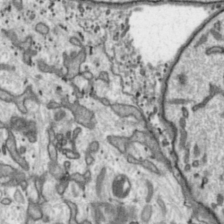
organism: Toxoplasma gondii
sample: Parasites in a vacuole inside a host cell